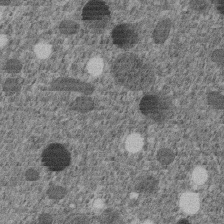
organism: C. elegans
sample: C. elegans embryo early stage